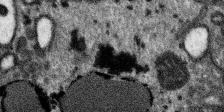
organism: Human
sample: Lung epithelial cells infected with SARS-CoV-2